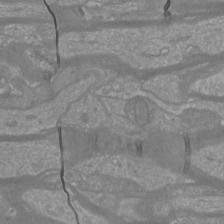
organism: Mouse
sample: Cortical neurons